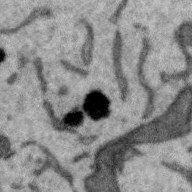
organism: Zebra finch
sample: Brain